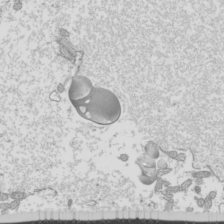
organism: Mouse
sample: Cilia; mouse epididymis